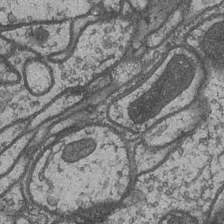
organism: Drosophila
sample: Optic medulla